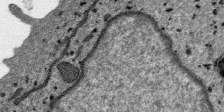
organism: Human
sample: Lung epithelial cells, uninfected (mock) control